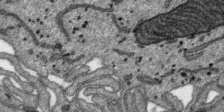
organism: Human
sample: Lung epithelial cells, uninfected (mock) control